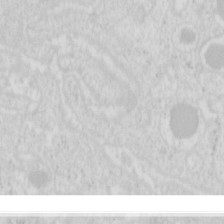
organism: Mouse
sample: Pancreas